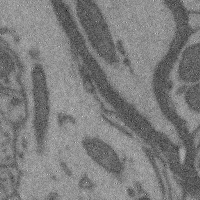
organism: Mouse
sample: Cerebral cortex